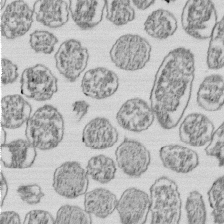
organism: E. coli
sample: Bacterial nucleoid